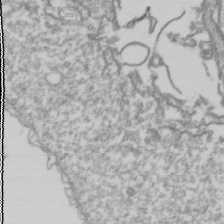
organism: Drosophila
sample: Cell division; meiosis; drosophila spermatocytes